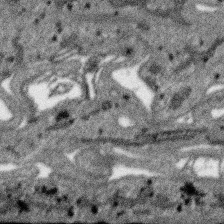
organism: Human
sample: Lung epithelial cells infected with SARS-CoV-2